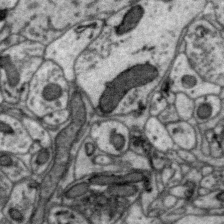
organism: Zebra finch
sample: Brain